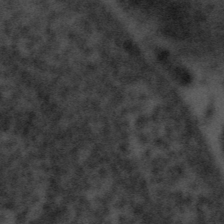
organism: Tuwongella immobilis